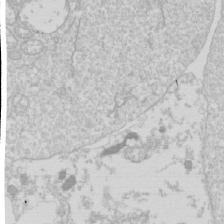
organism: Drosophila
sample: Cell division; meiosis; drosophila spermatocytes